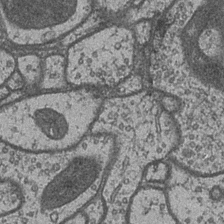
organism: Drosophila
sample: Optic medulla